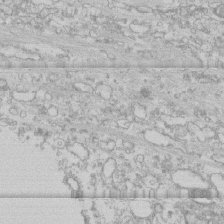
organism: Human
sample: CRL-1474